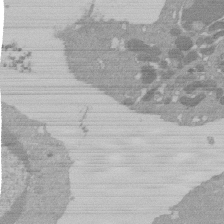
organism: Mouse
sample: Activated Pmel transgenic CD8+ T Cells